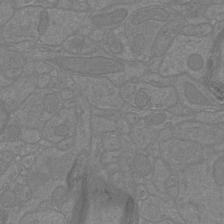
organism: Mouse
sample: Cortical neurons